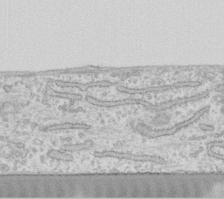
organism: Human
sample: Fibroblast cells